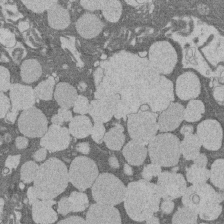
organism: Rat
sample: Salivary granule